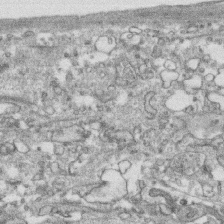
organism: Human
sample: CRL-1474